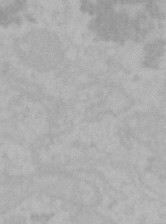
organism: Mouse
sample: Choroid plexus